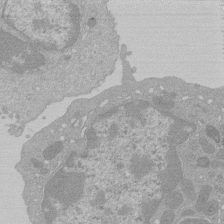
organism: Mouse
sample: Activated Pmel transgenic CD8+ T Cells